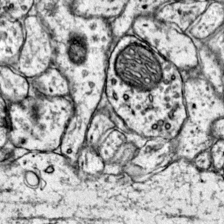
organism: Mouse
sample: Primary visual cortex